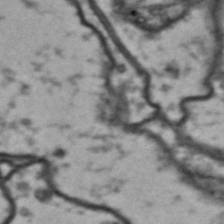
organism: Drosophila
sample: Brain